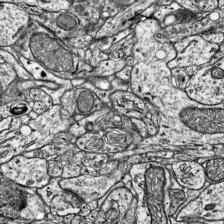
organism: Mouse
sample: Visual Cortex